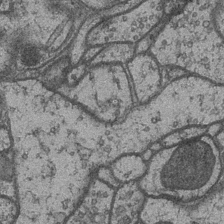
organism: Drosophila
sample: Optic medulla